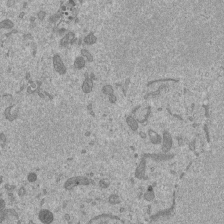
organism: Mouse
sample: ED-1 cell nuclei; centrioles